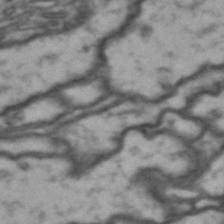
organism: Drosophila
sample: Brain